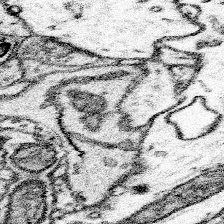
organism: Mouse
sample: Somatosensory cortex neuropil